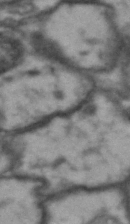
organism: Drosophila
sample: Brain